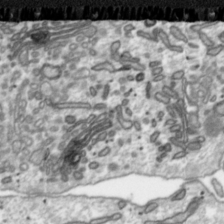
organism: Toxoplasma gondii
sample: Parasites in a vacuole inside a host cell